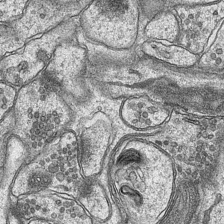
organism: Mouse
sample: CA1 Hippocampus